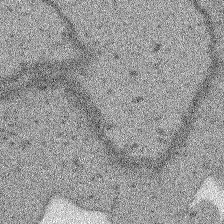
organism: Human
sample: HeLa cells